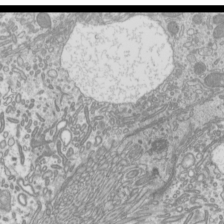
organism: Mouse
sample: Cilia; mouse epididymis